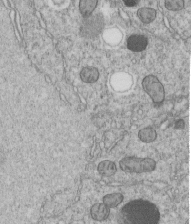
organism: C. elegans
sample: C. elegans embryo early stage